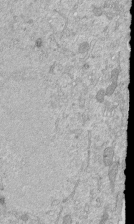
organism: Mouse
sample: ED-1 cell nuclei; centrioles